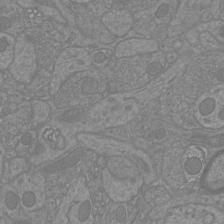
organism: Mouse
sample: Cortical neurons